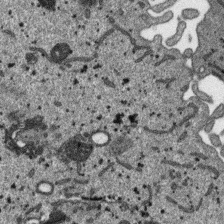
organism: Human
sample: Lung epithelial cells infected with SARS-CoV-2